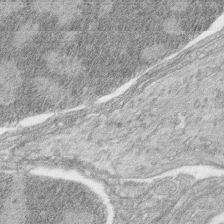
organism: Zebrafish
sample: synaptic ribbons in rod cells and cone cells